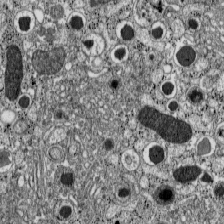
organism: C57BL Mouse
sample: Pancreatic islet